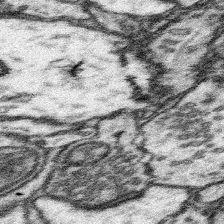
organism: Mouse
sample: Somatosensory cortex neuropil